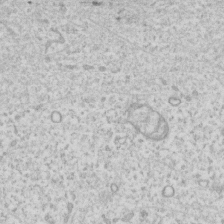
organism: Human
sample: Fibroblast cells